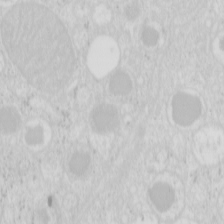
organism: Mouse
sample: Pancreas